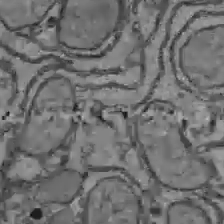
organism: C57BL Mouse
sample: Liver